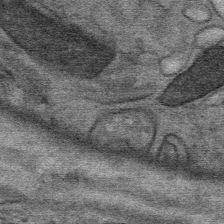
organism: Mouse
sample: Mouse Salivary gland